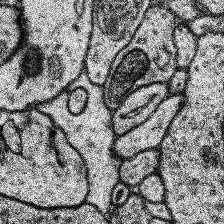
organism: Human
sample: Temporal Lobe